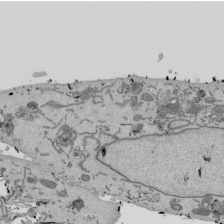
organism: Mouse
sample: ED-1 cell nuclei; centrioles